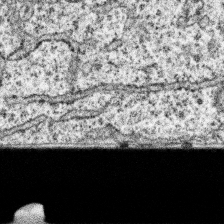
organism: Human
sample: HeLa cells